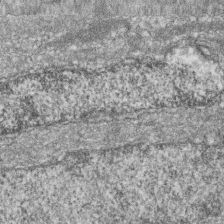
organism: Zebrafish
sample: Cilia; retinal pigment epithelium